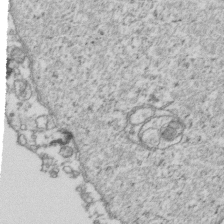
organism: Human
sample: Activated Jurkat CD4+ T cells